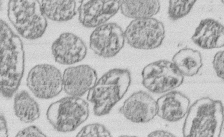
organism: E. coli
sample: Bacterial nucleoid